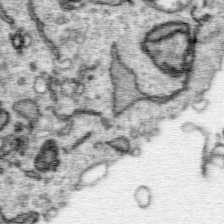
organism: Human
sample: HeLa cells